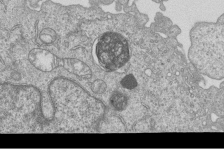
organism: Human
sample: MDA-MB-231 cells